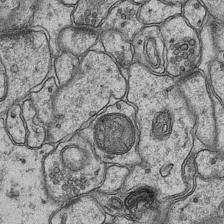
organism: Mouse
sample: CA1 Hippocampus